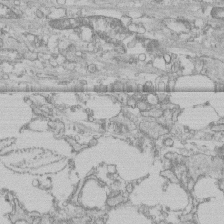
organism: Human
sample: CRL-1474